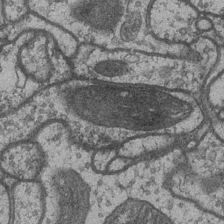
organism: Drosophila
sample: Optic medulla